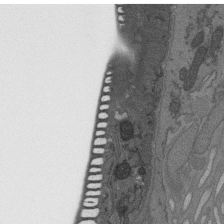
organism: C. elegans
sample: AFD neurons C. elegans